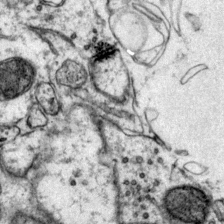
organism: Mouse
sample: Primary visual cortex